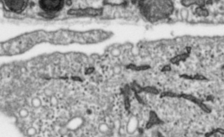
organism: Toxoplasma gondii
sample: Parasites in a vacuole inside a host cell